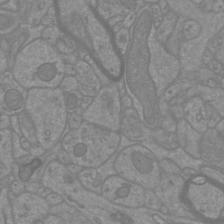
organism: Mouse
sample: Cortical neurons